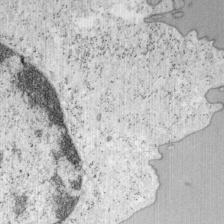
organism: Mouse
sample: OT-I killer T cells with ID8 ovarian cancer cells